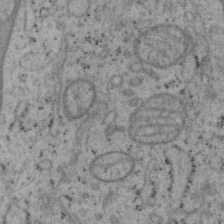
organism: Human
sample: HeLa cells